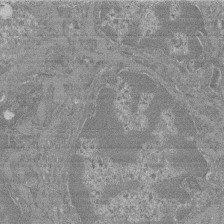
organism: Mouse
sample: Glomerulus